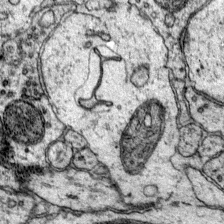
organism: Mouse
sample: Primary visual cortex